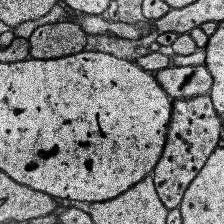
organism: Human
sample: Temporal Lobe